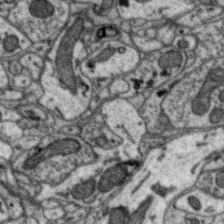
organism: Zebra finch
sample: Brain